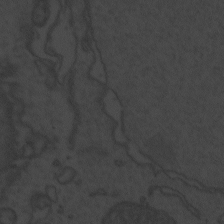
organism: Zebrafish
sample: Macrophage infected with Toxoplasma gondii